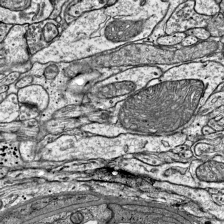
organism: Mouse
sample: Visual Cortex